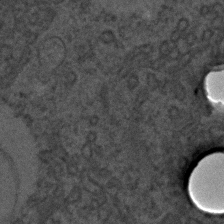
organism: C. elegans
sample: C. elegans embryo